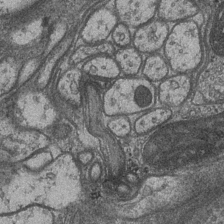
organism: Drosophila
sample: Optic medulla